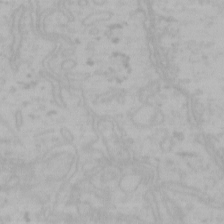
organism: Mouse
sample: Choroid plexus